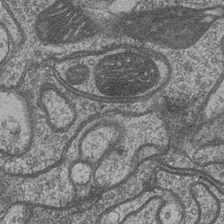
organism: Drosophila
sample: Optic medulla